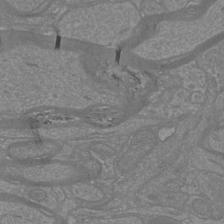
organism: Mouse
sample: Cortical neurons